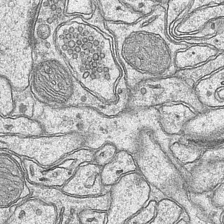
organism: Mouse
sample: CA1 Hippocampus